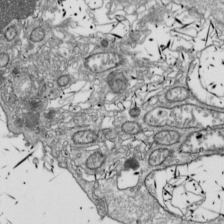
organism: Drosophila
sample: Cell division; meiosis; drosophila spermatocytes